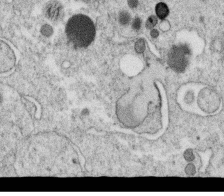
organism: C. elegans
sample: C. elegans oocyte; sperm cells